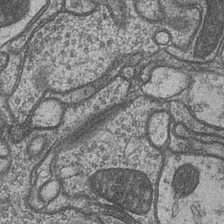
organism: Drosophila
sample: Optic medulla